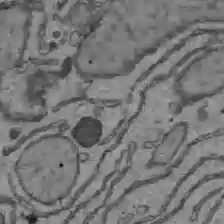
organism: C57BL Mouse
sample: Liver